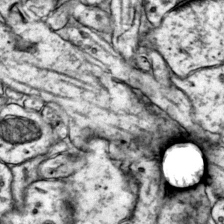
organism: Mouse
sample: Primary visual cortex